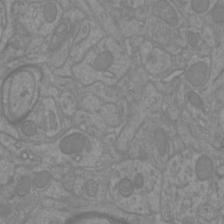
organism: Mouse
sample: Cortical neurons